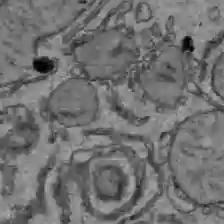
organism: C57BL Mouse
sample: Liver